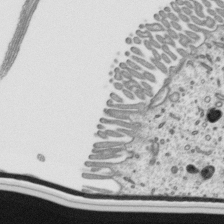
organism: Mouse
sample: Mouse epididymis efferent ductule cilia